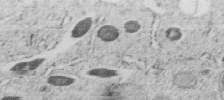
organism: C. elegans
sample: C. elegans embryo early stage